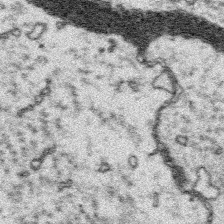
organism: Platynereis dumerilii